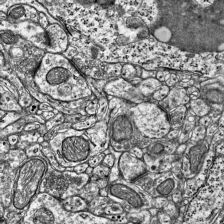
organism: Mouse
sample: Visual Cortex